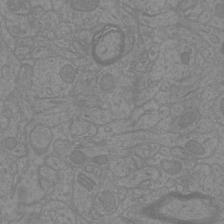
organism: Mouse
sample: Cortical neurons